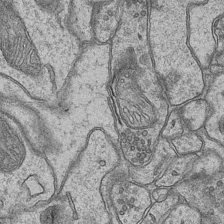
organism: Mouse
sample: CA1 Hippocampus